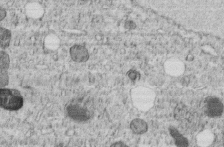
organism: C. elegans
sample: C. elegans embryo early stage